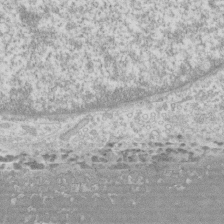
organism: Human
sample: CRL-1474